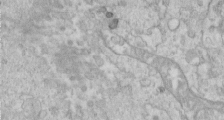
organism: Human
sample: Centriole in RPE cells